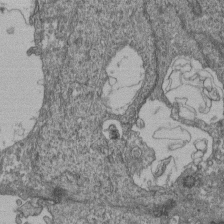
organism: Human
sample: Retinal organoid Rod and Cone cells